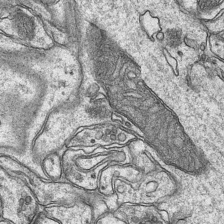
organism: Mouse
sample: CA1 Hippocampus